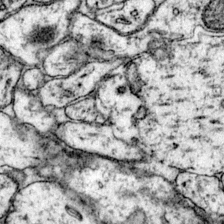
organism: Mouse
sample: Primary visual cortex